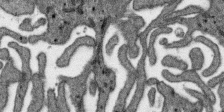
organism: Human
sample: Lung epithelial cells, uninfected (mock) control